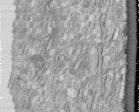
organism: Human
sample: Centriole in fibroblast cells